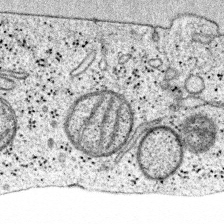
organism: Human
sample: HeLa cells